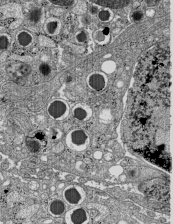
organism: C57BL Mouse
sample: Pancreatic islet